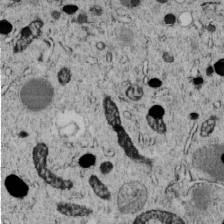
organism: C. elegans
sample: C. elegans embryo early stage